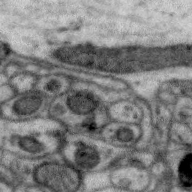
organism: Zebra finch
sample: Brain